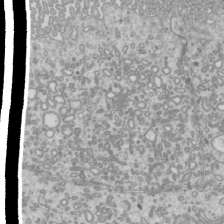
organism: Mouse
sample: Cilia; mouse epididymis